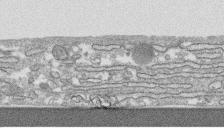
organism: Human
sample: CRL-1474